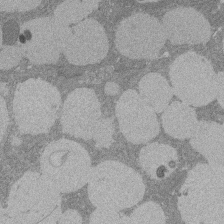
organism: Rat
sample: Salivary granule